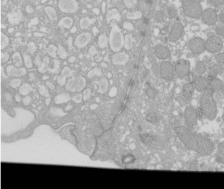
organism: Xenopus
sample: Cilia; centrioles in frog embryo cells